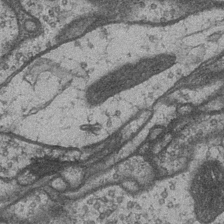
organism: Drosophila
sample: Optic medulla